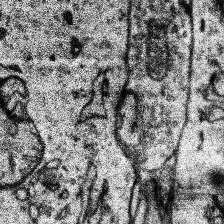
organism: Human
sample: Temporal Lobe